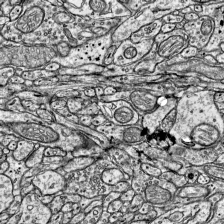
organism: Mouse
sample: Visual Cortex